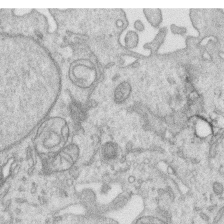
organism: Human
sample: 1205lu cells